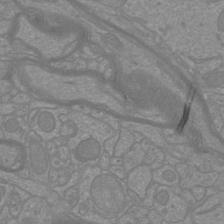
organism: Mouse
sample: Cortical neurons